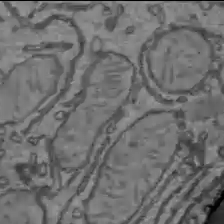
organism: C57BL Mouse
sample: Liver